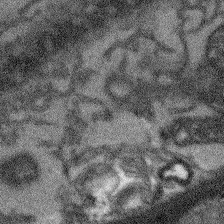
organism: Arabidopsis thaliana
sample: Root tip